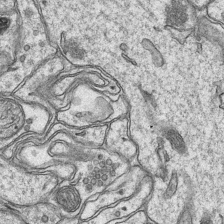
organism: Mouse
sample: CA1 Hippocampus